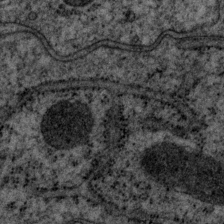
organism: P. pacificus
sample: Pharynx